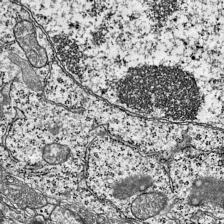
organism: Mouse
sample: Visual Cortex